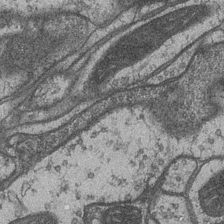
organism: Drosophila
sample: Optic medulla